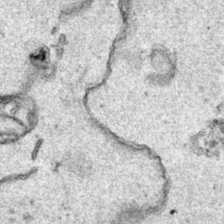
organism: Human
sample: Mitochondria in HCT116 cells